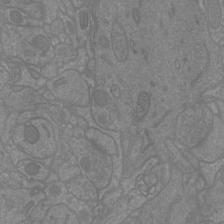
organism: Mouse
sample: Cortical neurons